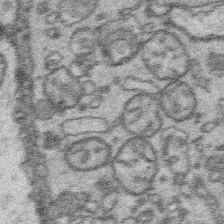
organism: Platynereis dumerilii